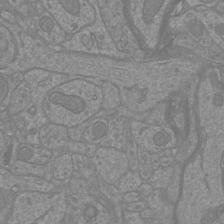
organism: Mouse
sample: Cortical neurons